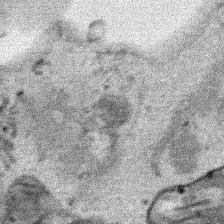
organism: Human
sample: Mitochondria in HCT116 cells